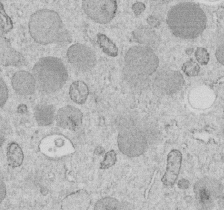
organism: C. elegans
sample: C. elegans embryo early stage